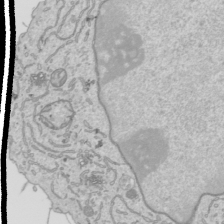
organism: Human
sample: Mitochondria in HCT116 cells